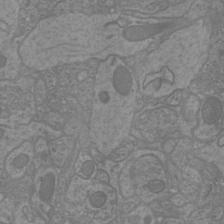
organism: Mouse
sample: Cortical neurons